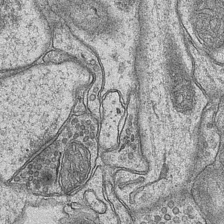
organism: Mouse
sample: CA1 Hippocampus